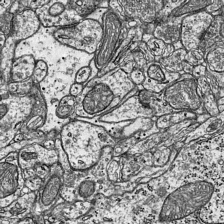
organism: Mouse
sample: Visual Cortex